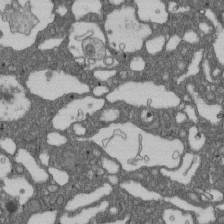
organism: Drosophila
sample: Nephrocyte